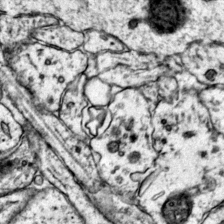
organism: Mouse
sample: Primary visual cortex